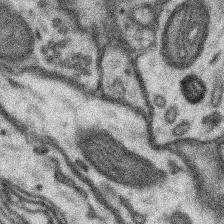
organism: Mouse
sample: Somatosensory cortex neuropil